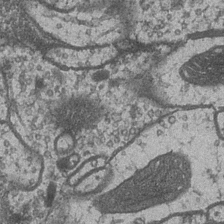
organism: Drosophila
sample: Optic medulla